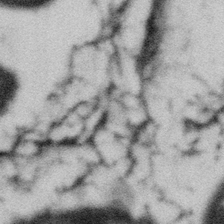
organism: Gemmata obscuriglobus